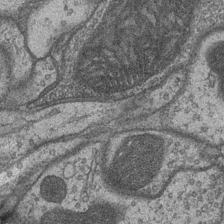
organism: Drosophila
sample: Optic medulla